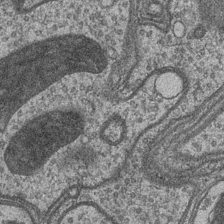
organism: Drosophila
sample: Optic medulla